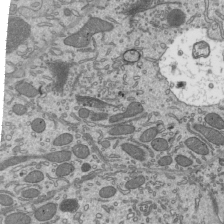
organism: Mouse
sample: Mouse epididymis efferent ductule cilia